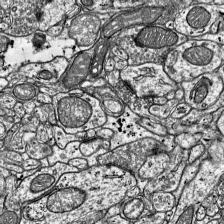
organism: Mouse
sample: Visual Cortex